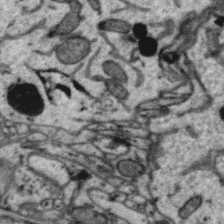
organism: Zebra finch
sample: Brain